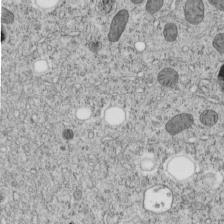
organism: C. elegans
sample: C. elegans embryo early stage